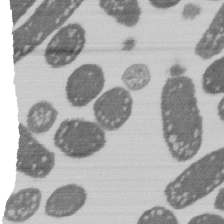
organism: E. coli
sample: Bacterial nucleoid